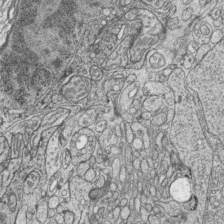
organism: Zebrafish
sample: synaptic ribbons in rod cells and cone cells